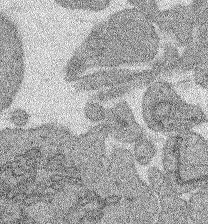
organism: Human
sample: HeLa cells